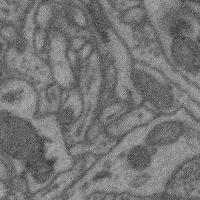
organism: Mouse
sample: Cerebral cortex